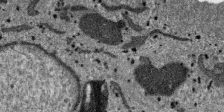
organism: Human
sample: Lung epithelial cells, uninfected (mock) control